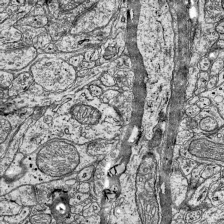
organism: Mouse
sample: Visual Cortex